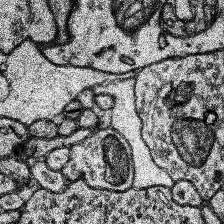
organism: Human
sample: Temporal Lobe